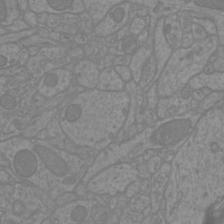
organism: Mouse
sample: Cortical neurons